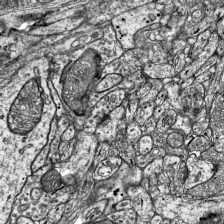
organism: Mouse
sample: Visual Cortex